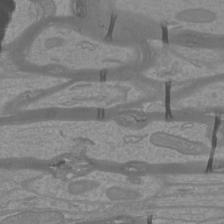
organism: Mouse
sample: Cortical neurons